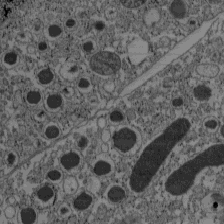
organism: C57BL Mouse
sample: Pancreatic islet